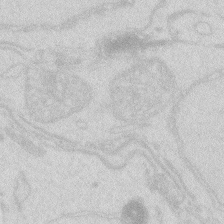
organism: Zebrafish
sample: Macrophage